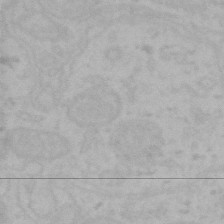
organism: Mouse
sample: Choroid plexus